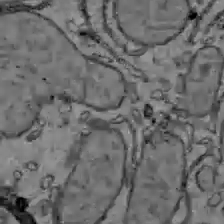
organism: C57BL Mouse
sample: Liver